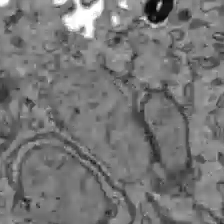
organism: C57BL Mouse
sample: Liver